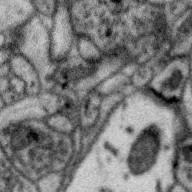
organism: Zebra finch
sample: Brain